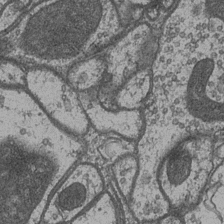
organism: Drosophila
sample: Optic medulla